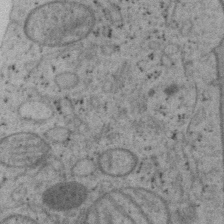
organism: Human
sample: HeLa cells